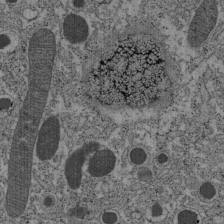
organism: C57BL Mouse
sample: Pancreatic islet